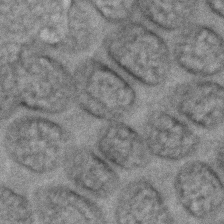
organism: C. elegans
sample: C. elegans embryo